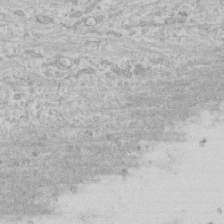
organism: Human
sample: CRL-1474